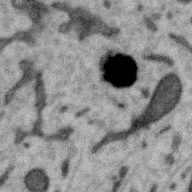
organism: Zebra finch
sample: Brain